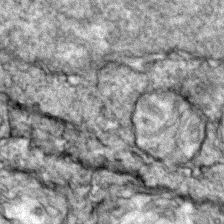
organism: Zebrafish